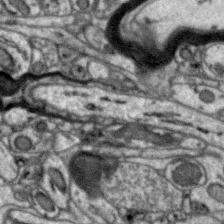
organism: Zebra finch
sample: Brain